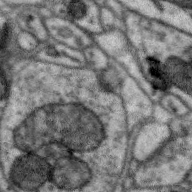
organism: Zebra finch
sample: Brain